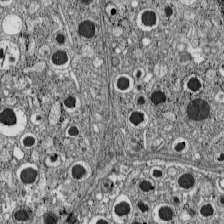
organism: C57BL Mouse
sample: Pancreatic islet